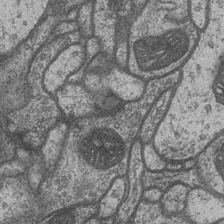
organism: Drosophila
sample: Optic medulla